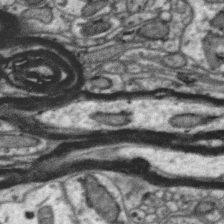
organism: Zebra finch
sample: Brain